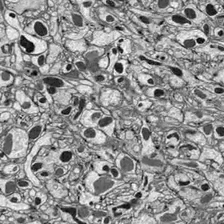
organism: Drosophila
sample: Optic lobe